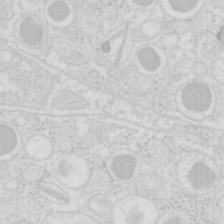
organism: Mouse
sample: Pancreas